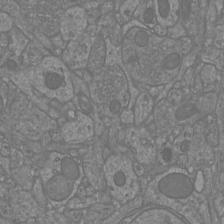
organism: Mouse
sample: Cortical neurons